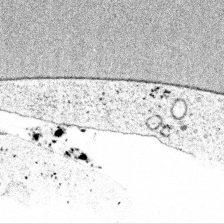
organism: Human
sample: HeLa cells